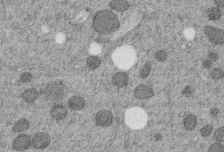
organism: C. elegans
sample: C. elegans embryo early stage